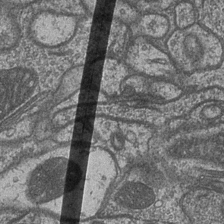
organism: Drosophila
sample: Optic medulla